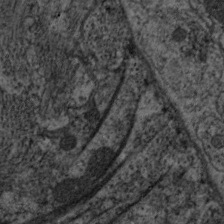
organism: C. elegans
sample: Pharynx